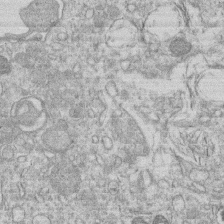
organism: Human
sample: Macrophage cells